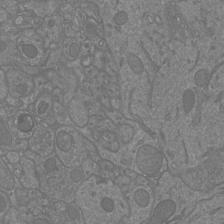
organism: Mouse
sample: Cortical neurons